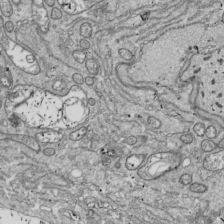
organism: Drosophila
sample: Cell division; meiosis; drosophila spermatocytes